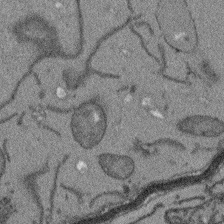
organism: Arabidopsis thaliana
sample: Root tip